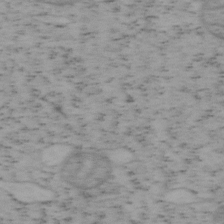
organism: Mouse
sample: OT-I killer T cells with ID8 ovarian cancer cells